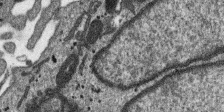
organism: Human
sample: Lung epithelial cells infected with SARS-CoV-2